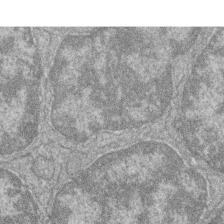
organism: Zebrafish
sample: Cilia; retinal pigment epithelium